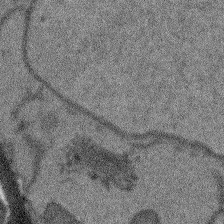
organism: Arabidopsis thaliana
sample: Root tip